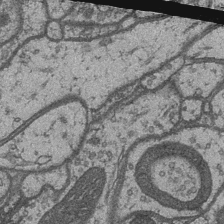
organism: Drosophila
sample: Optic medulla